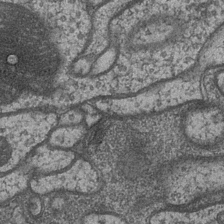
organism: Drosophila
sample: Optic medulla